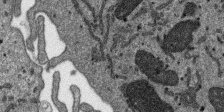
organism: Human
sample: Lung epithelial cells infected with SARS-CoV-2